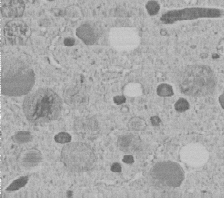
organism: C. elegans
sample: C. elegans embryo early stage